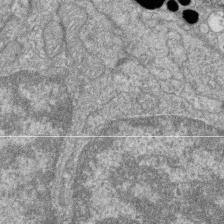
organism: Zebrafish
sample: Cilia; retinal pigment epithelium